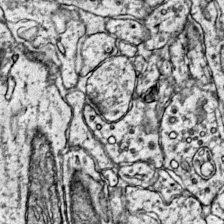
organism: Mouse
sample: Primary visual cortex